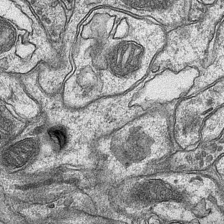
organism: Mouse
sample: CA1 Hippocampus